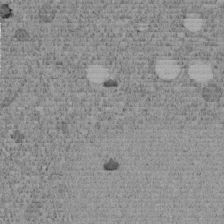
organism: C. elegans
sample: C. elegans embryo early stage